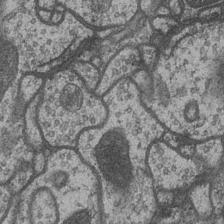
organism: Drosophila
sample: Optic medulla